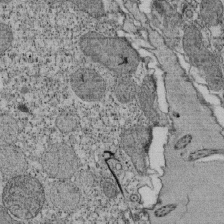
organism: Tetrahymena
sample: Cilia in tetrahymena